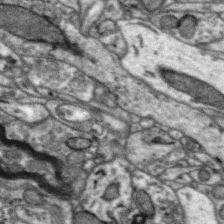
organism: Zebra finch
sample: Brain